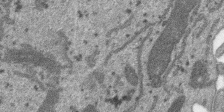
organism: Human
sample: Lung epithelial cells infected with SARS-CoV-2